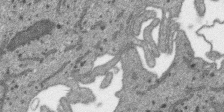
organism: Human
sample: Lung epithelial cells infected with SARS-CoV-2